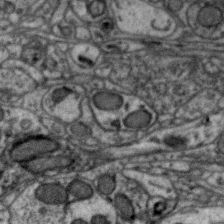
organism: Zebra finch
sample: Brain